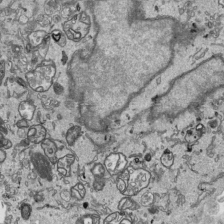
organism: Human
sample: Mitochondria in HCT116 cells